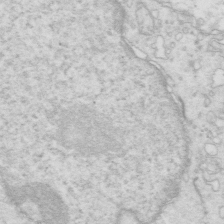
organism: Mouse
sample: Multiciliated cells